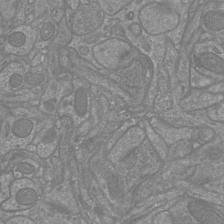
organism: Mouse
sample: Cortical neurons